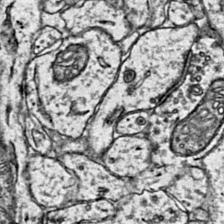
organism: Mouse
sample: Primary visual cortex